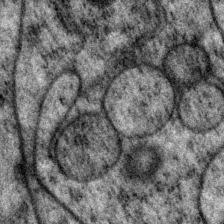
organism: P. pacificus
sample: Pharynx